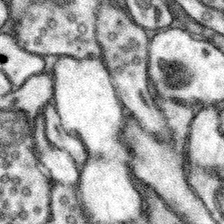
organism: Mouse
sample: Somatosensory cortex neuropil